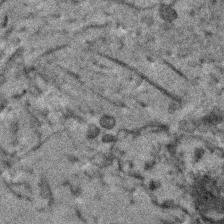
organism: Human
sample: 1205lu cells